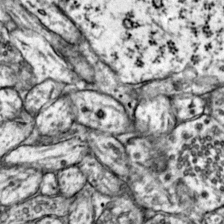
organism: Mouse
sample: Primary visual cortex